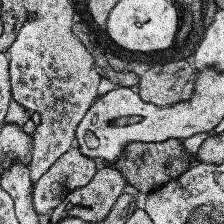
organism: Human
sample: Temporal Lobe